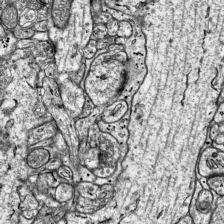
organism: Mouse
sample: Visual Cortex